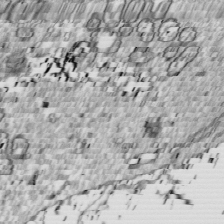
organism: Drosophila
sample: Cell division; meiosis; drosophila spermatocytes